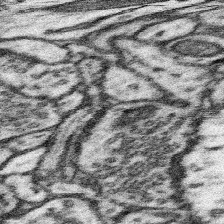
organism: Mouse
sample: Somatosensory cortex neuropil